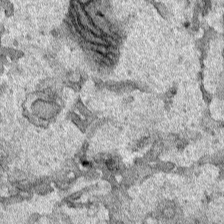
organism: Human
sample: Mitochondria in HCT116 cells